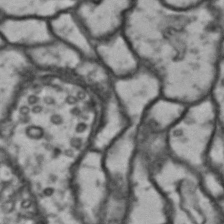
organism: Drosophila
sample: Brain